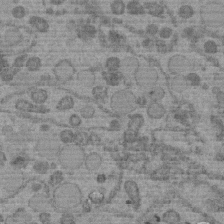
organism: C. elegans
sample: C. elegans embryo early stage